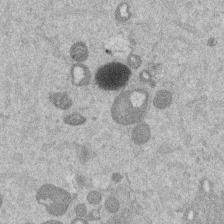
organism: Mouse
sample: Dividing mouse embryo 1 cell stage